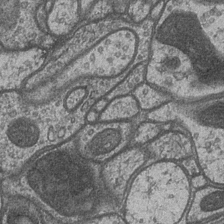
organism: Drosophila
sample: Optic medulla